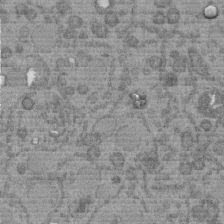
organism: C. elegans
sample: C. elegans embryo early stage